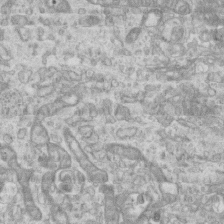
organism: Mouse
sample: Centriole in ependymal cells